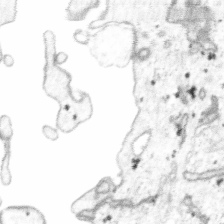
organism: Human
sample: HeLa cells